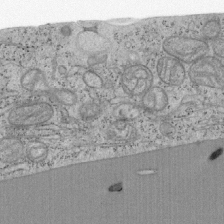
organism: Human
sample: HeLa cells